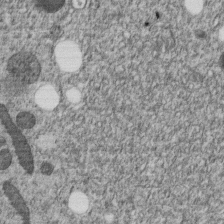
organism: C. elegans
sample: C. elegans embryo early stage